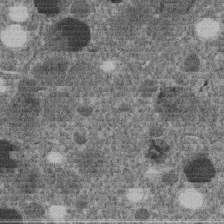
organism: C. elegans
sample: C. elegans embryo early stage